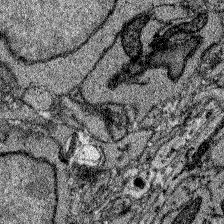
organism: Zebrafish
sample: Larval olfactory bulb